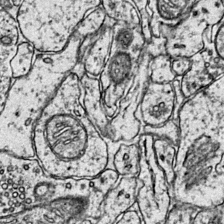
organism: Mouse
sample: Primary visual cortex